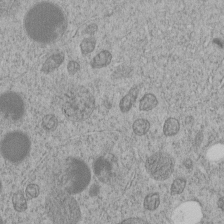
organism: C. elegans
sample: C. elegans embryo early stage